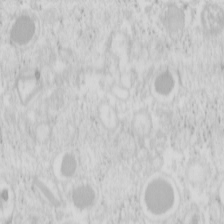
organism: Mouse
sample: Pancreas